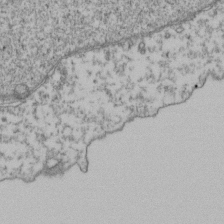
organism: Human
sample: Activated Jurkat CD4+ T cells